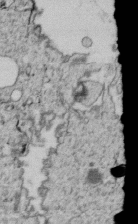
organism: C. elegans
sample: C. elegans embryo early stage